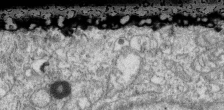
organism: Human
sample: HeLa cell HIV synapse